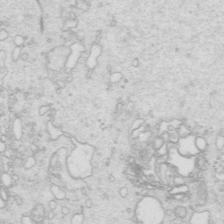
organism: Mouse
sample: Multiciliated cells